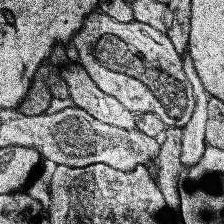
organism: Human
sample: Temporal Lobe